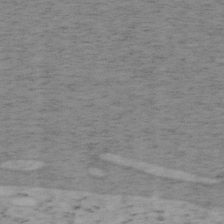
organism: Mouse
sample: OT-I killer T cells with ID8 ovarian cancer cells